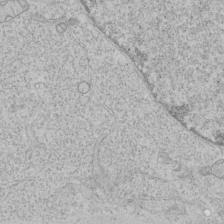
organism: Human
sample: Mitochondria in HCT116 cells